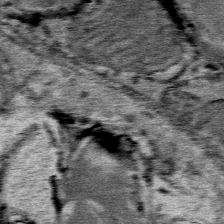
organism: Mouse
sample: Mouse Salivary gland